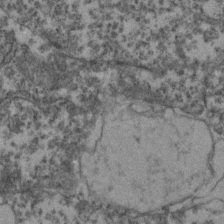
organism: Zebrafish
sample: Zebrafish embryo